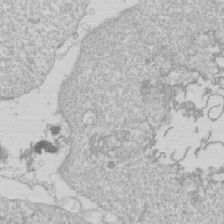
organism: Drosophila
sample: Cell division; meiosis; drosophila spermatocytes